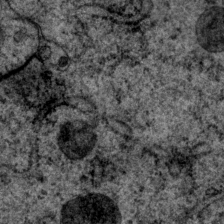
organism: P. pacificus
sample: Pharynx